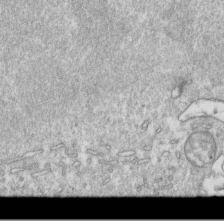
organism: Mouse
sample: Activated OT-1 CD8+ T cells